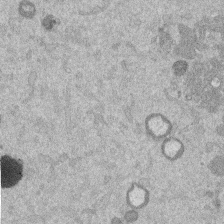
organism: Mouse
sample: Dividing mouse embryo 1 cell stage